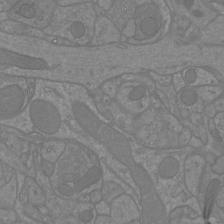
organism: Mouse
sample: Cortical neurons